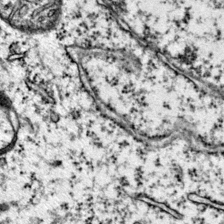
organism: Mouse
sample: Primary visual cortex